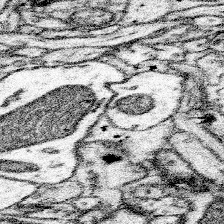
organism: Mouse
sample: Somatosensory cortex neuropil